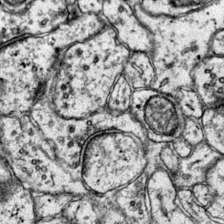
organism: Mouse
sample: Primary visual cortex